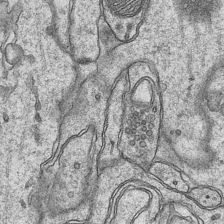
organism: Mouse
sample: CA1 Hippocampus